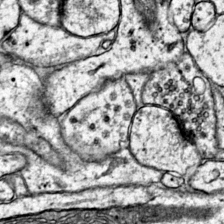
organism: Mouse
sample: Primary visual cortex